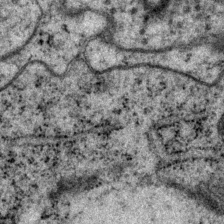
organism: P. pacificus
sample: Pharynx